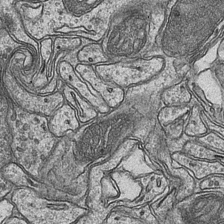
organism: Mouse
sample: CA1 Hippocampus